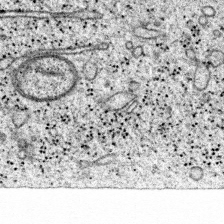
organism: Human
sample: HeLa cells